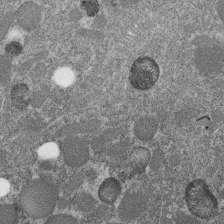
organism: C. elegans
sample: C. elegans embryo early stage